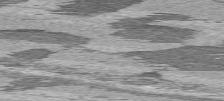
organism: C57BL Mouse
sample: Heart